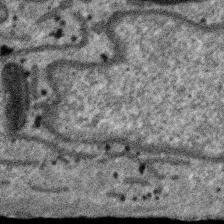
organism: Human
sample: Lung epithelial cells infected with SARS-CoV-2